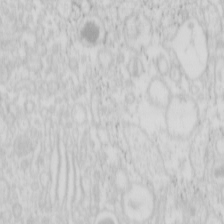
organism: Mouse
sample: Pancreas